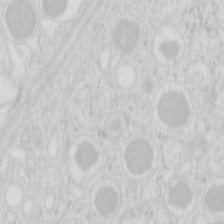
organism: Mouse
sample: Pancreas